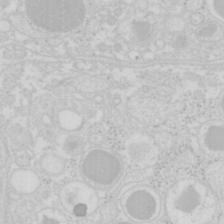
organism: Mouse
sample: Pancreas